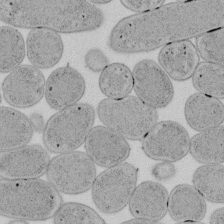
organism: E. coli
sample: Bacterial nucleoid